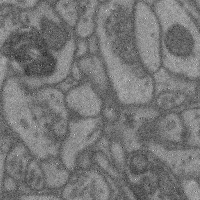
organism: Mouse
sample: Cerebral cortex